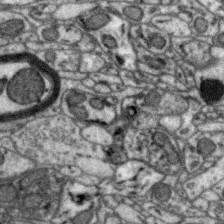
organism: Zebra finch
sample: Brain